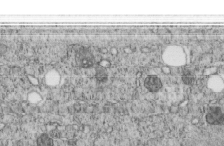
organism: C. elegans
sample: C. elegans embryo early stage